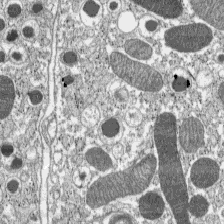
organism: C57BL Mouse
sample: Pancreatic islet